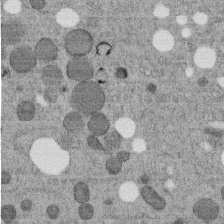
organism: C. elegans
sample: C. elegans embryo early stage